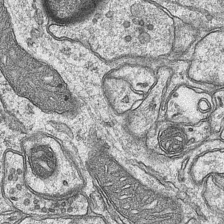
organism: Mouse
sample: CA1 Hippocampus